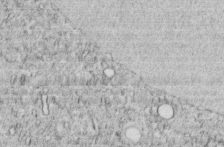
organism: C. elegans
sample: C. elegans embryo early stage